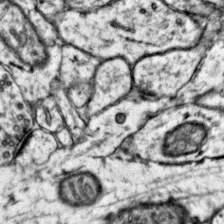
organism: Mouse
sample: Primary visual cortex